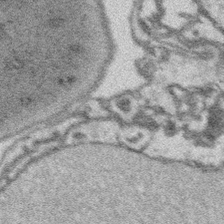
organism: Platynereis dumerilii